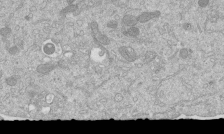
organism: Mouse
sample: ED-1 cell nuclei; centrioles